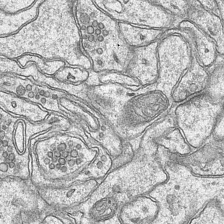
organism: Mouse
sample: CA1 Hippocampus